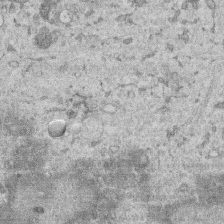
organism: Human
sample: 1205lu cells